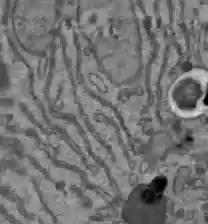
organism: C57BL Mouse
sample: Liver